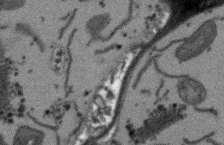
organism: Arabidopsis thaliana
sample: Root tip